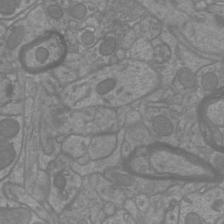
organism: Mouse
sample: Cortical neurons